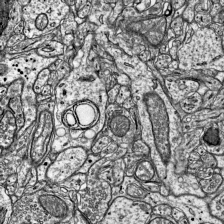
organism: Mouse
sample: Visual Cortex